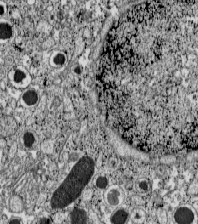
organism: C57BL Mouse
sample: Pancreatic islet